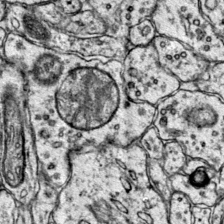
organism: Mouse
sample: Primary visual cortex